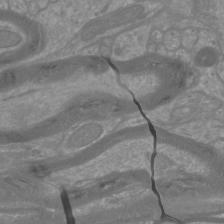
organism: Mouse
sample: Cortical neurons